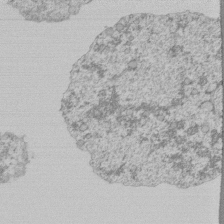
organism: Mouse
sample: Activated Pmel transgenic CD8+ T Cells